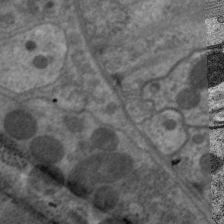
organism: C. elegans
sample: Pharynx